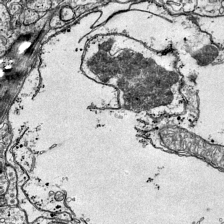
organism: Mouse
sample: Visual Cortex